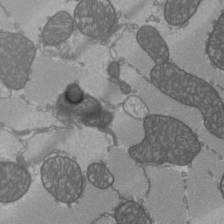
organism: C57BL Mouse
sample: Heart